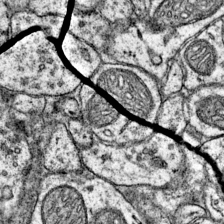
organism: Mouse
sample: Primary visual cortex